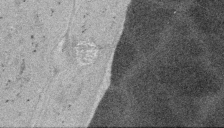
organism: Embia sp.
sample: Silk gland